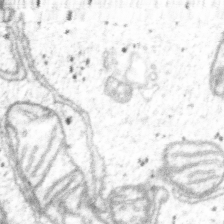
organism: Human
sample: HeLa cells